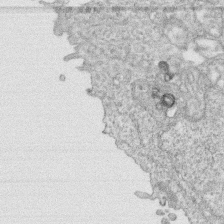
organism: Human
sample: HeLa cell HIV synapse